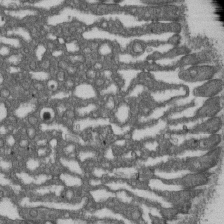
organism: Drosophila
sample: Nephrocyte